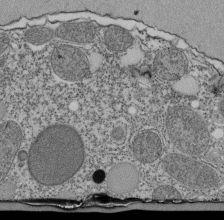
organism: Tetrahymena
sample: Cilia in tetrahymena